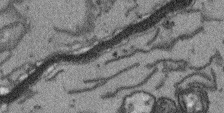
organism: Arabidopsis thaliana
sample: Root tip